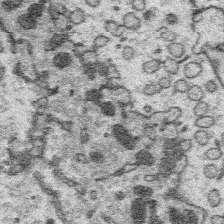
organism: Platynereis dumerilii